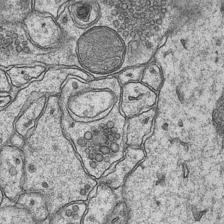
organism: Mouse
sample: CA1 Hippocampus